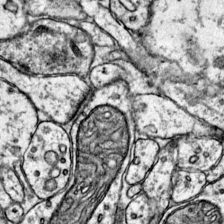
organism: Mouse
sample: Primary visual cortex